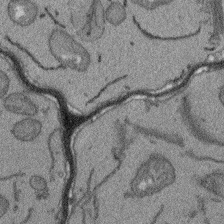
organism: Arabidopsis thaliana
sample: Root tip